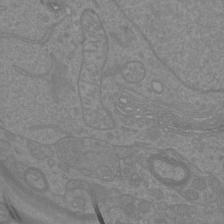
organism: Mouse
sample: Cortical neurons